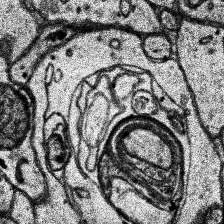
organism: Human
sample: Temporal Lobe